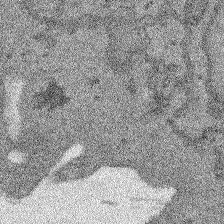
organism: Human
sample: HeLa cells